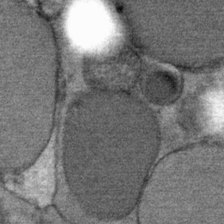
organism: Mouse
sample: Mouse Salivary gland